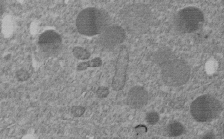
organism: C. elegans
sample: C. elegans embryo early stage